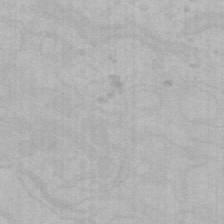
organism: Mouse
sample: Choroid plexus